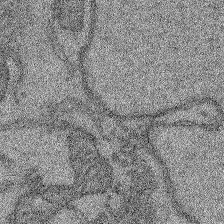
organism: Human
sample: HeLa cells